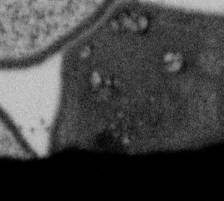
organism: Gemmata obscuriglobus